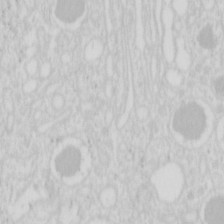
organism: Mouse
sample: Pancreas